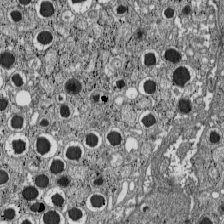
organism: C57BL Mouse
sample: Pancreatic islet